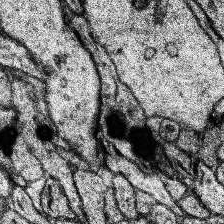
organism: Human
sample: Temporal Lobe